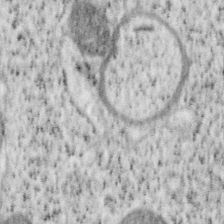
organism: Mouse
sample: OT-I killer T cells with ID8 ovarian cancer cells